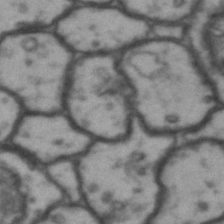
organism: Drosophila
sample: Brain